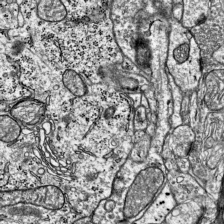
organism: Mouse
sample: Visual Cortex